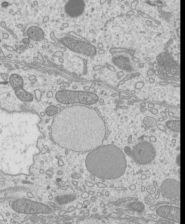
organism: Mouse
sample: Cilia; mouse epididymis